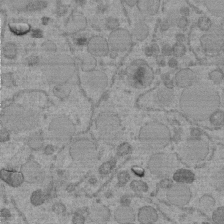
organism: C. elegans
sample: C. elegans embryo early stage